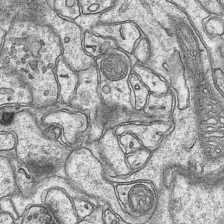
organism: Mouse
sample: CA1 Hippocampus